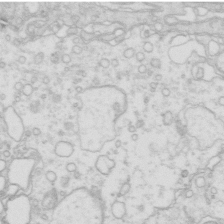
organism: Mouse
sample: Multiciliated cells